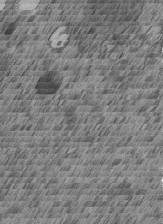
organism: C. elegans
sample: C. elegans embryo early stage